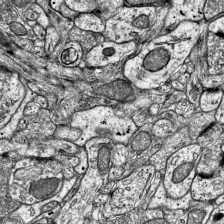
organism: Mouse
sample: Visual Cortex